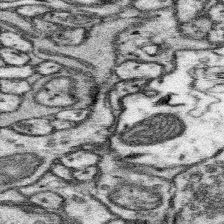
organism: Mouse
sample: Somatosensory cortex neuropil